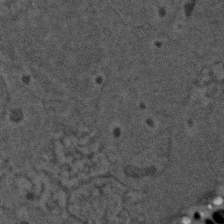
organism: Zebrafish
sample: Zebrafish embryo